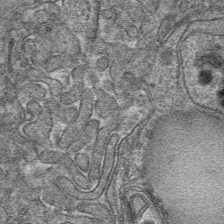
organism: Mouse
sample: Mouse hepatocytes